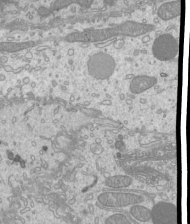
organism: Mouse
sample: Cilia; mouse epididymis